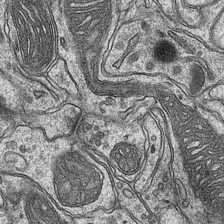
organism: Mouse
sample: CA1 Hippocampus